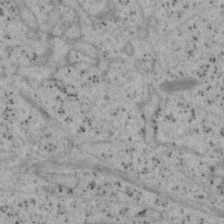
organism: Human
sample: HeLa cells